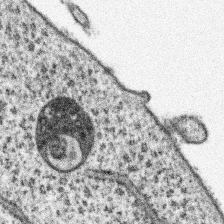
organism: Human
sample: HeLa cells